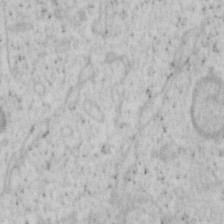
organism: Human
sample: HeLa cells